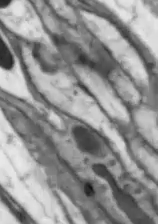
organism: Drosophila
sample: Optic lobe